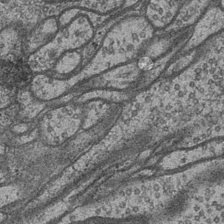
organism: Drosophila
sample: Optic medulla